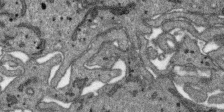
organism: Human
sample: Lung epithelial cells, uninfected (mock) control